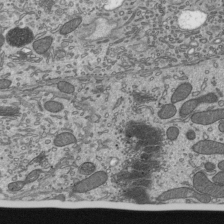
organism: Mouse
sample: Mouse epididymis efferent ductule cilia